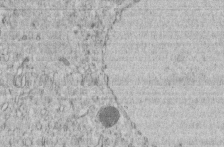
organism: C. elegans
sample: C. elegans embryo early stage